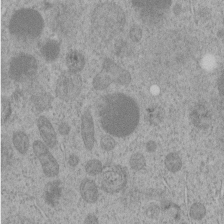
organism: C. elegans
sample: C. elegans embryo early stage